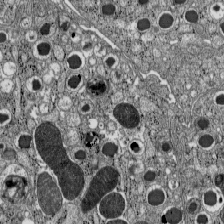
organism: C57BL Mouse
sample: Pancreatic islet